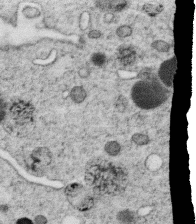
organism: C. elegans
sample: C. elegans oocyte; sperm cells